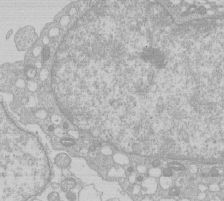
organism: Human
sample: Macrophage cells